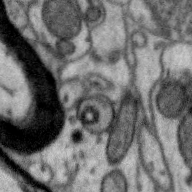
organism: Zebra finch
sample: Brain